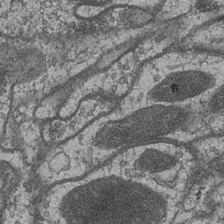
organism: Drosophila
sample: Optic medulla